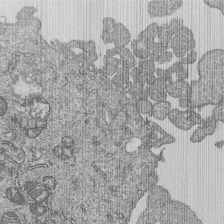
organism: Human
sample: MDA-MB-231 cells